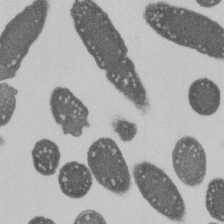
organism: E. coli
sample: Bacterial nucleoid